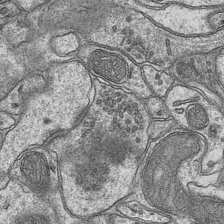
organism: Mouse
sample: CA1 Hippocampus